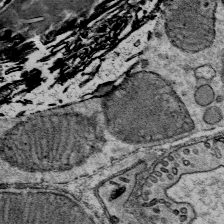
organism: Mouse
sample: Mouse Salivary gland